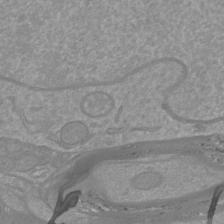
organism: Mouse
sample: Cortical neurons